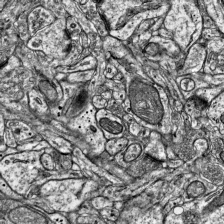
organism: Mouse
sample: Visual Cortex